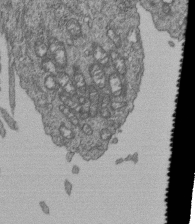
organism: Human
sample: Retinal organoid Rod and Cone cells